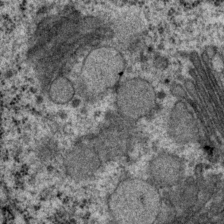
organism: P. pacificus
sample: Pharynx